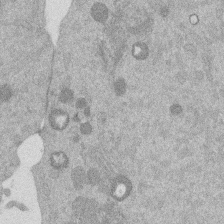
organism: Mouse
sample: Dividing mouse embryo 1 cell stage